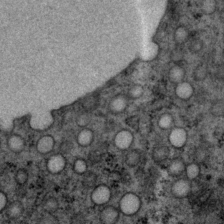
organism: P. pacificus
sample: Pharynx